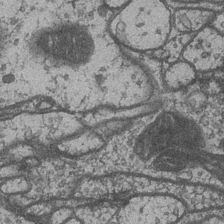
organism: Drosophila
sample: Optic medulla